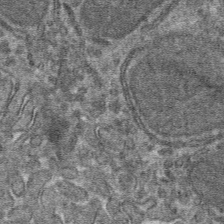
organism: Mouse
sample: Mouse hepatocytes